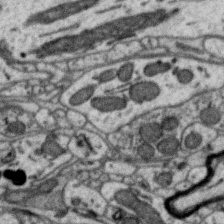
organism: Zebra finch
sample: Brain